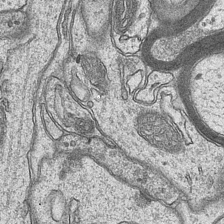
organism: Mouse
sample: CA1 Hippocampus